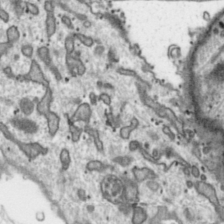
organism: Toxoplasma gondii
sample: Parasites in a vacuole inside a host cell